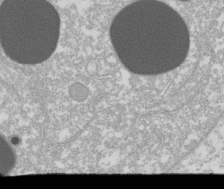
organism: Xenopus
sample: Cilia; centrioles in frog embryo cells